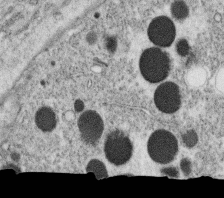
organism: C. elegans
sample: C. elegans oocyte; sperm cells